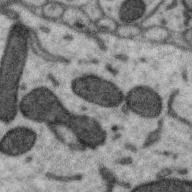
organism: Zebra finch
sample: Brain